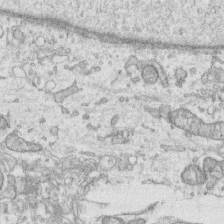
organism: Human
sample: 1205lu cells